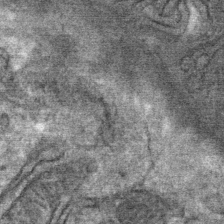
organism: Mouse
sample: Mouse Salivary gland